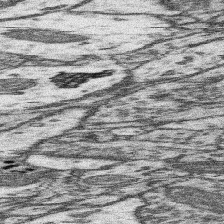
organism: Mouse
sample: Somatosensory cortex neuropil